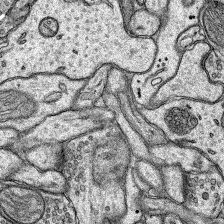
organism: Rat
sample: Hippocampus